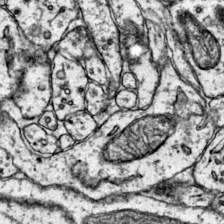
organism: Mouse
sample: Primary visual cortex